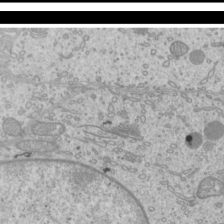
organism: Mouse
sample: Cilia; mouse epididymis